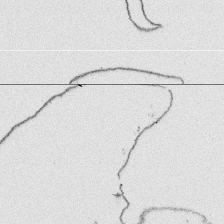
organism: Platynereis dumerilii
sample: Parapodia